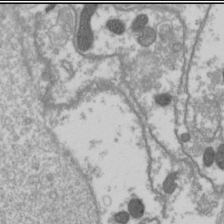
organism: Drosophila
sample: Cell division; meiosis; drosophila spermatocytes